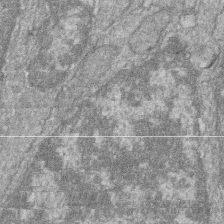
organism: Zebrafish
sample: Cilia; retinal pigment epithelium